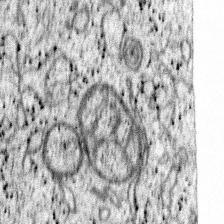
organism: Human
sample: HeLa cells